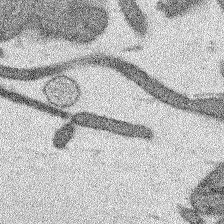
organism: Human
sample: HeLa cells